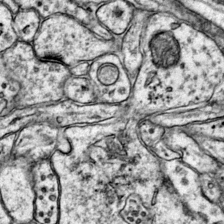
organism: Mouse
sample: Primary visual cortex